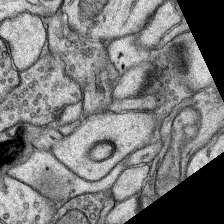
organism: Rat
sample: Hippocampus